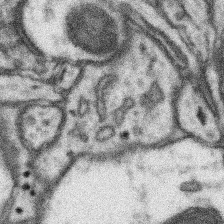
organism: Mouse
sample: Somatosensory cortex neuropil